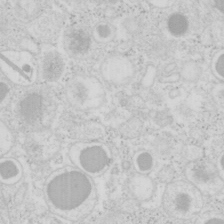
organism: Mouse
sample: Pancreas